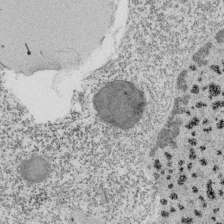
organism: Tetrahymena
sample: Cilia in tetrahymena